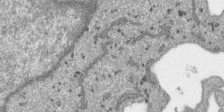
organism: Human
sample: Lung epithelial cells infected with SARS-CoV-2